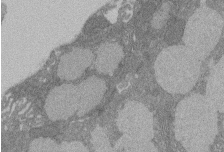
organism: Rat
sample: Salivary granule